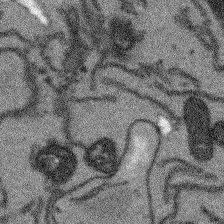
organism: Arabidopsis thaliana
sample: Root tip